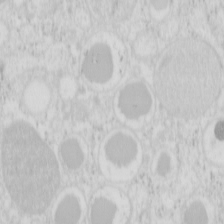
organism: Mouse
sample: Pancreas